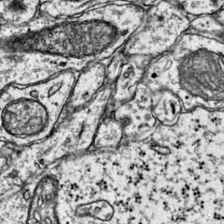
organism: Mouse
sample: Primary visual cortex